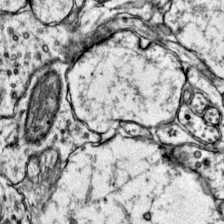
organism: Mouse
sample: Primary visual cortex